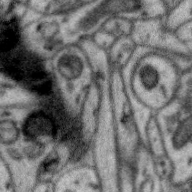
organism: Zebra finch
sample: Brain